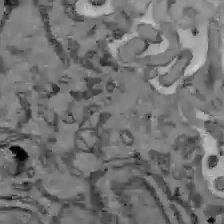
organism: C57BL Mouse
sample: Liver